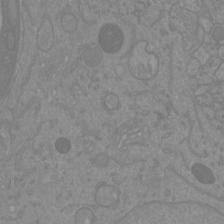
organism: Mouse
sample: Cortical neurons